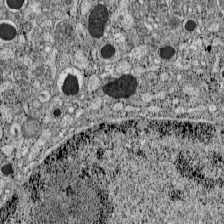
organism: C57BL Mouse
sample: Pancreatic islet